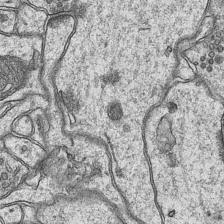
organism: Mouse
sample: CA1 Hippocampus